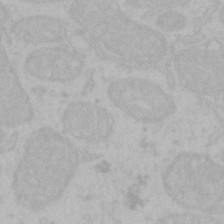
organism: Mouse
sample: Choroid plexus